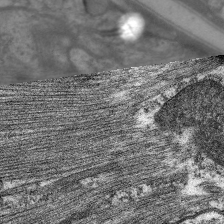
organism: C. elegans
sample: Pharynx